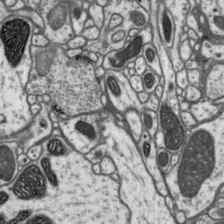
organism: Drosophila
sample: Protocerebral bridge